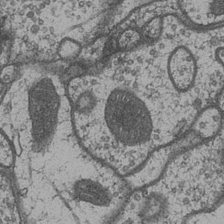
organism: Drosophila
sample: Optic medulla